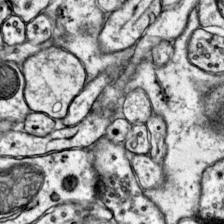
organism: Mouse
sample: Primary visual cortex